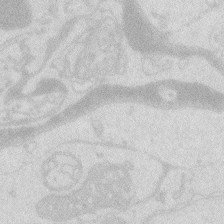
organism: Zebrafish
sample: Macrophage